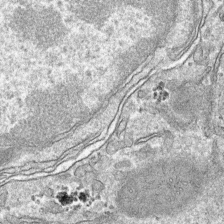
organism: Mouse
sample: Mouse hepatocytes